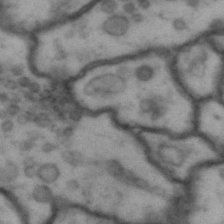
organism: Drosophila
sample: Brain